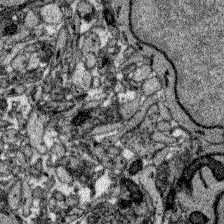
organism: Zebrafish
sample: Larval olfactory bulb